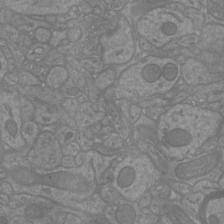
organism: Mouse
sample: Cortical neurons